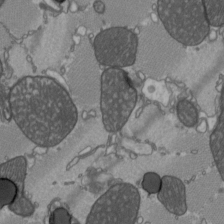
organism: C57BL Mouse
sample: Heart